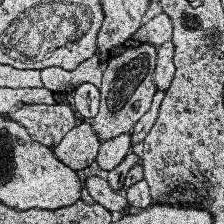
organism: Human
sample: Temporal Lobe